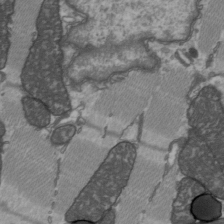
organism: C57BL Mouse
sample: Heart